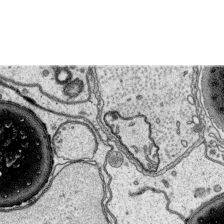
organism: Platynereis dumerilii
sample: Parapodia